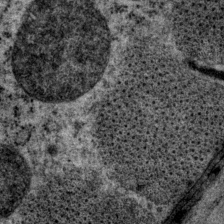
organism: P. pacificus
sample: Pharynx